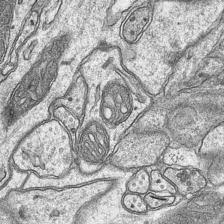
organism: Mouse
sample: CA1 Hippocampus